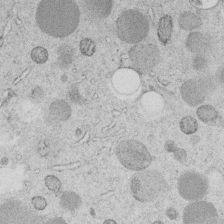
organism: C. elegans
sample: C. elegans embryo early stage